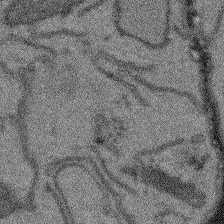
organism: Arabidopsis thaliana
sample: Root tip